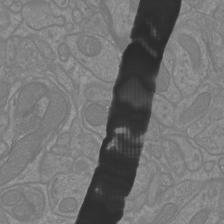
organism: Mouse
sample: Cortical neurons